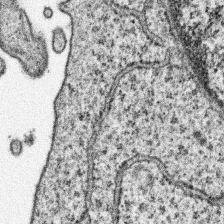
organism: Human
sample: HeLa cells